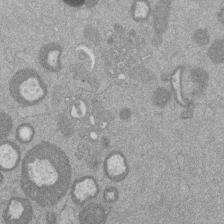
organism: Mouse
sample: Dividing mouse embryo 1 cell stage